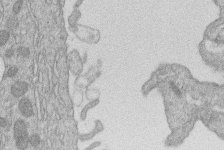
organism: Human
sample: Macrophage cells